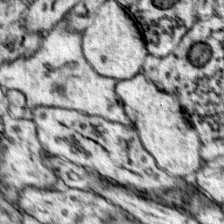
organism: Mouse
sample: Primary visual cortex